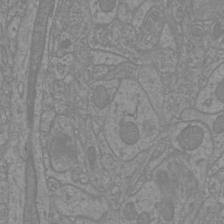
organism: Mouse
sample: Cortical neurons